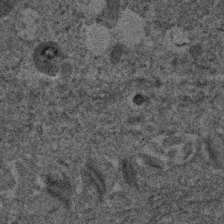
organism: Human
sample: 1205lu cells